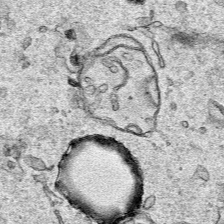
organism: Human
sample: Mitochondria in HCT116 cells